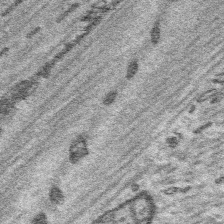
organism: Platynereis dumerilii